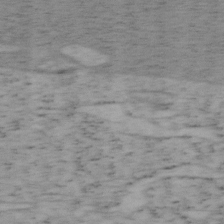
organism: Mouse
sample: OT-I killer T cells with ID8 ovarian cancer cells